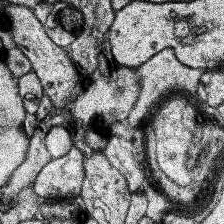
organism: Human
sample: Temporal Lobe